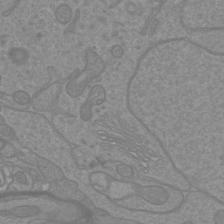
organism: Mouse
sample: Cortical neurons